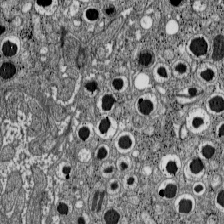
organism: C57BL Mouse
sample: Pancreatic islet